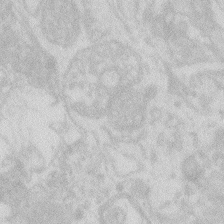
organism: Zebrafish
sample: Macrophage